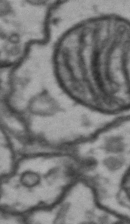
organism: Drosophila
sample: Brain